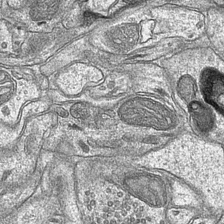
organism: Mouse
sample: CA1 Hippocampus